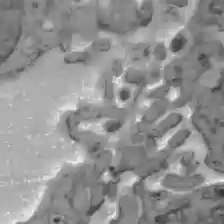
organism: C57BL Mouse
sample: Liver